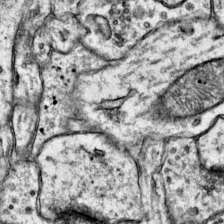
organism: Mouse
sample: Primary visual cortex